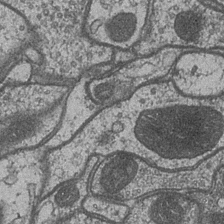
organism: Drosophila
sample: Optic medulla